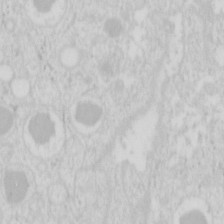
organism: Mouse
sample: Pancreas